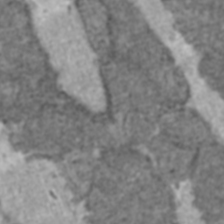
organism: C57BL Mouse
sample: Heart